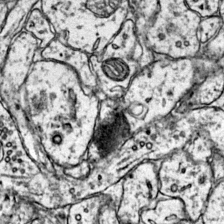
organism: Mouse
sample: Primary visual cortex